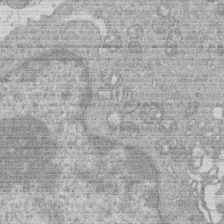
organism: Human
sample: Macrophage cells